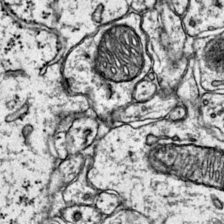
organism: Mouse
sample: Primary visual cortex